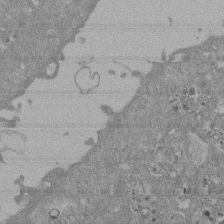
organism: Mouse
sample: ED-1 cell nuclei; centrioles